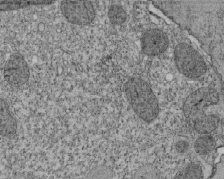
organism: Tetrahymena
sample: Cilia in tetrahymena